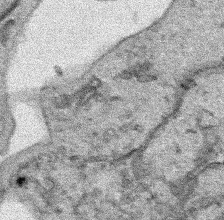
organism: Human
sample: Mitochondria in HCT116 cells